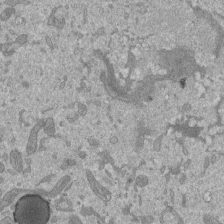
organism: Mouse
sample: ED-1 cell nuclei; centrioles